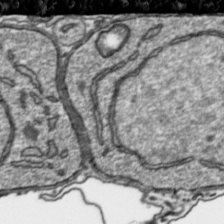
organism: Toxoplasma gondii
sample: Parasites in a vacuole inside a host cell